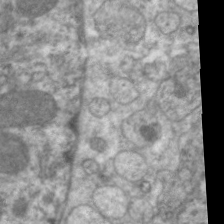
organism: C. elegans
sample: Pharynx